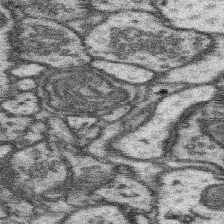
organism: Mouse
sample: Somatosensory cortex neuropil